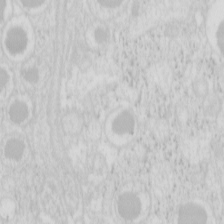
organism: Mouse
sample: Pancreas